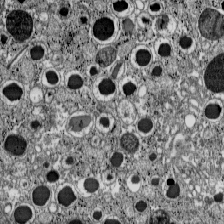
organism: C57BL Mouse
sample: Pancreatic islet